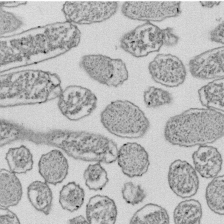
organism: E. coli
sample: Bacterial nucleoid